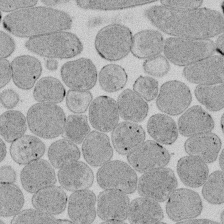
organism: E. coli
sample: Bacterial nucleoid